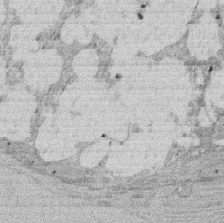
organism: Rat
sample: Salivary granule